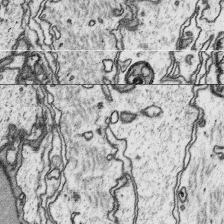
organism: Platynereis dumerilii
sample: Parapodia